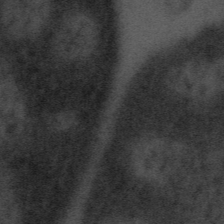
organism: Tuwongella immobilis